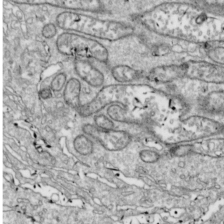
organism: Drosophila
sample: Cell division; meiosis; drosophila spermatocytes